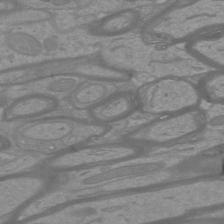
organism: Mouse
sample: Cortical neurons